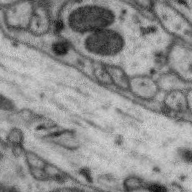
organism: Zebra finch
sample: Brain